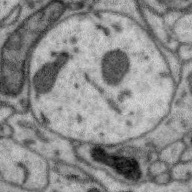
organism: Zebra finch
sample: Brain